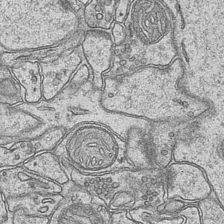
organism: Mouse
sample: CA1 Hippocampus